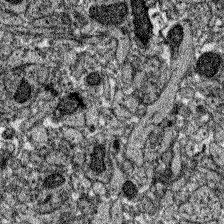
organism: Zebrafish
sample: Larval olfactory bulb